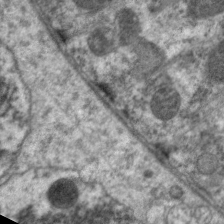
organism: C. elegans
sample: Pharynx